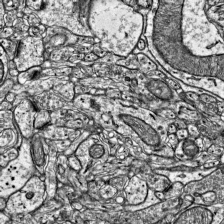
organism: Mouse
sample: Visual Cortex